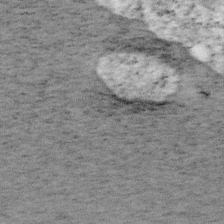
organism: Mouse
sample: OT-I killer T cells with ID8 ovarian cancer cells